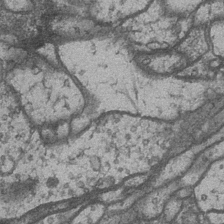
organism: Drosophila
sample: Optic medulla